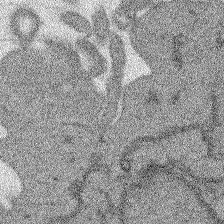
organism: Human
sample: HeLa cells